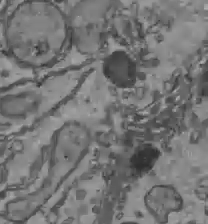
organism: C57BL Mouse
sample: Liver